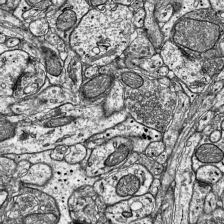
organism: Mouse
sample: Visual Cortex